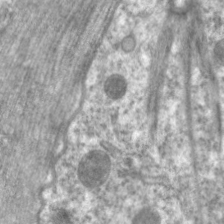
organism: C. elegans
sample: Pharynx